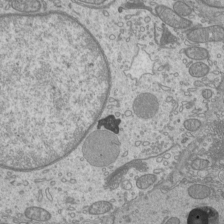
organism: Mouse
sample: Cilia; mouse epididymis